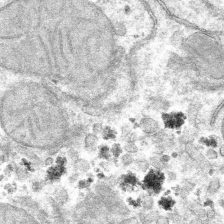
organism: Mouse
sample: Mouse hepatocytes